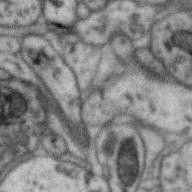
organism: Zebra finch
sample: Brain